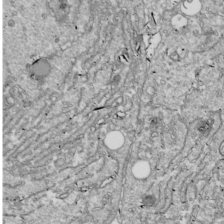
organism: Drosophila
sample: Cell division; meiosis; drosophila spermatocytes